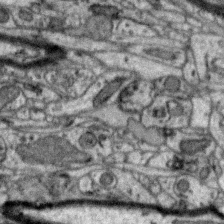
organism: Zebra finch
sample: Brain